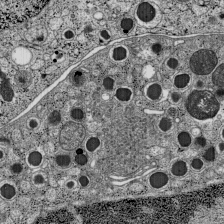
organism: C57BL Mouse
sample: Pancreatic islet